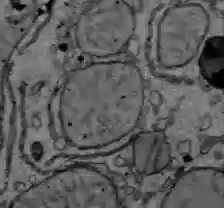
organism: C57BL Mouse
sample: Liver